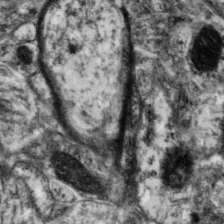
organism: Mouse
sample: Neocortex